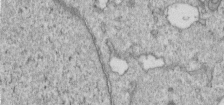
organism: Human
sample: Centriole in RPE cells